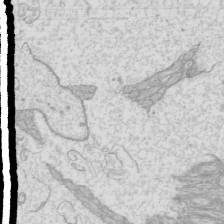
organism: Mouse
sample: Cilia; mouse epididymis